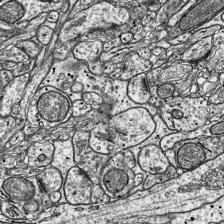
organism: Mouse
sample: Visual Cortex